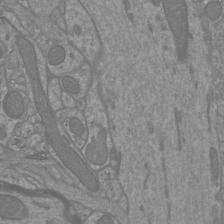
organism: Mouse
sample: Cortical neurons